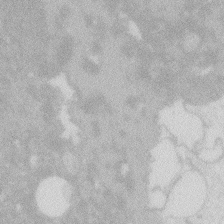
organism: Zebrafish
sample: Macrophage